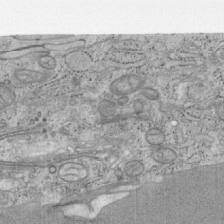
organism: Human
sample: HeLa cells